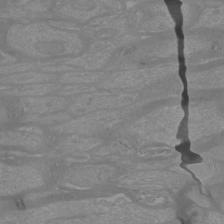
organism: Mouse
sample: Cortical neurons